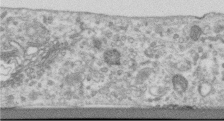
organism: Human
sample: Centriole in RPE cells